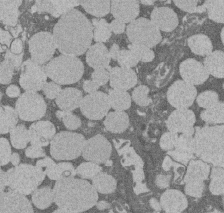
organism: Rat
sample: Salivary granule